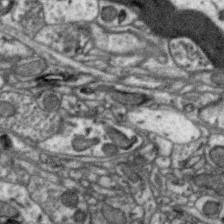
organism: Zebra finch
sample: Brain